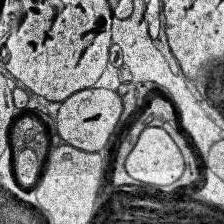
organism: Human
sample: Temporal Lobe